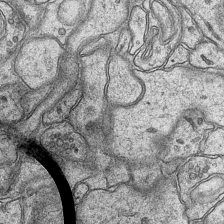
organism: Mouse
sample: CA1 Hippocampus